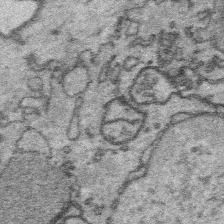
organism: Platynereis dumerilii